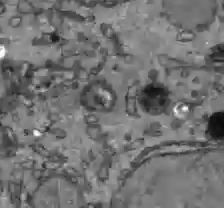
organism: C57BL Mouse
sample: Liver